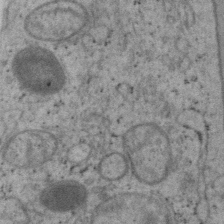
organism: Human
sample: HeLa cells